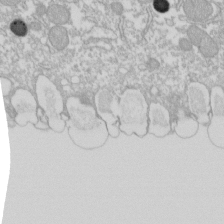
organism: Xenopus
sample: Cilia; centrioles in frog embryo cells